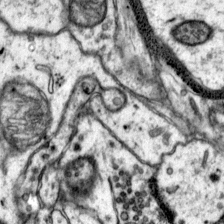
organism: Mouse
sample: Primary visual cortex